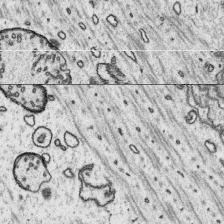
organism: Platynereis dumerilii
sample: Parapodia